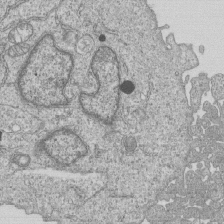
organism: Human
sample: MDA-MB-231 cells